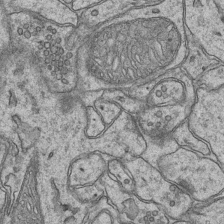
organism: Mouse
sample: CA1 Hippocampus